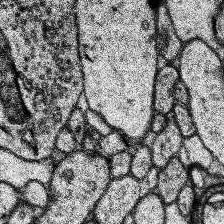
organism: Human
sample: Temporal Lobe